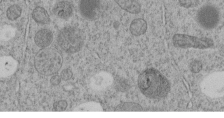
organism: C. elegans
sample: C. elegans embryo early stage